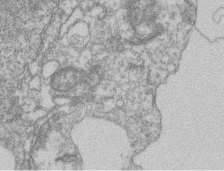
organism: Mouse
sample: T cell stromal cell synapse